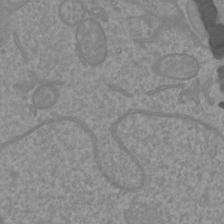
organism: Mouse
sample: Cortical neurons